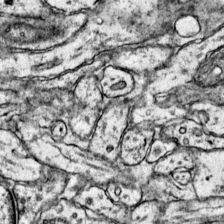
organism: Mouse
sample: Primary visual cortex